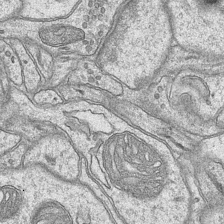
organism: Mouse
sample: CA1 Hippocampus